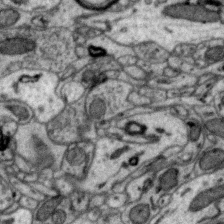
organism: Zebra finch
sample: Brain